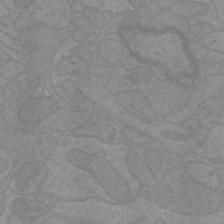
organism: Mouse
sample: Cortical neurons